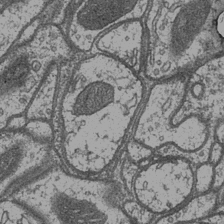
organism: Drosophila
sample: Optic medulla